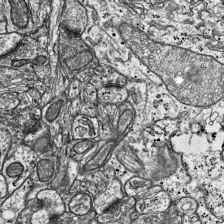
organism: Mouse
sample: Visual Cortex